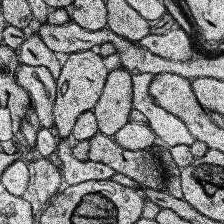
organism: Human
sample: Temporal Lobe